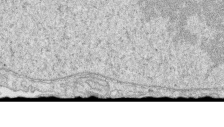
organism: Human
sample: HeLa cell HIV synapse